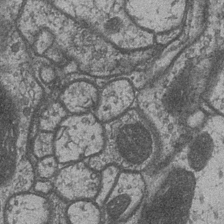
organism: Drosophila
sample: Optic medulla